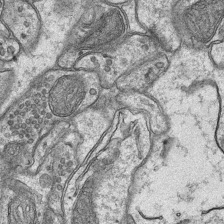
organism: Mouse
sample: CA1 Hippocampus